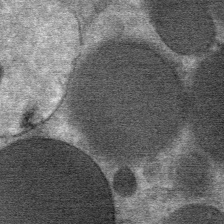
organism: Mouse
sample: Mouse Salivary gland